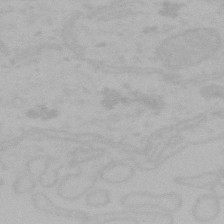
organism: Mouse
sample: Choroid plexus